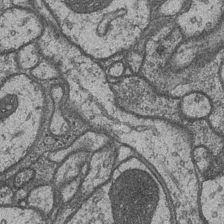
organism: Drosophila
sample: Optic medulla